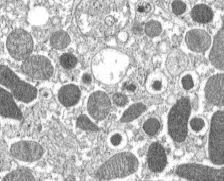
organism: C57BL Mouse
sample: Pancreatic islet